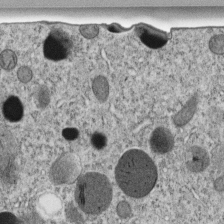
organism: C. elegans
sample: C. elegans embryo early stage